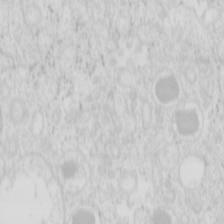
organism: Mouse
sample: Pancreas